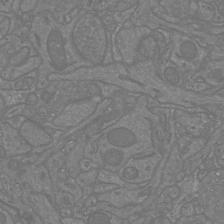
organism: Mouse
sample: Cortical neurons